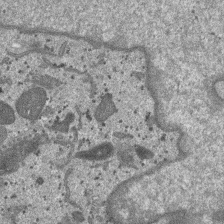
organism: Human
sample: Lung epithelial cells infected with SARS-CoV-2